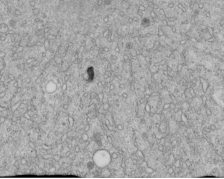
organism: C. elegans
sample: C. elegans embryo early stage